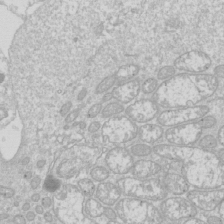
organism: Drosophila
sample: Cell division; meiosis; drosophila spermatocytes